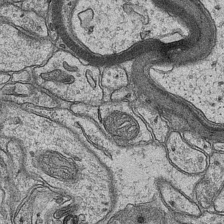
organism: Mouse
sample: CA1 Hippocampus